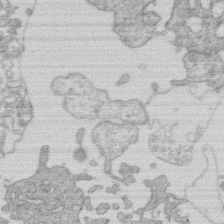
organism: Human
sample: Macrophage cells